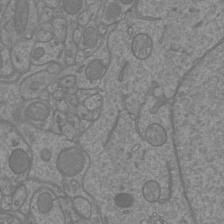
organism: Mouse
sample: Cortical neurons